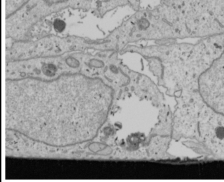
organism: Human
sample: Mitochondria in U2OS cells